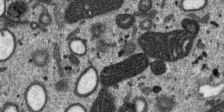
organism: Human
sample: Lung epithelial cells infected with SARS-CoV-2